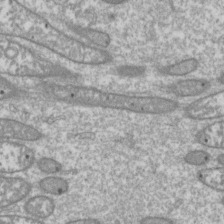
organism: Drosophila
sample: Cell division; meiosis; drosophila spermatocytes